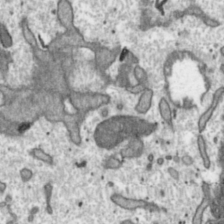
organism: Toxoplasma gondii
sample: Parasites in a vacuole inside a host cell